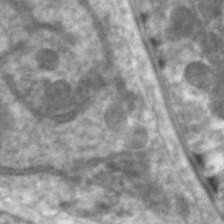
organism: C. elegans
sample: Pharynx